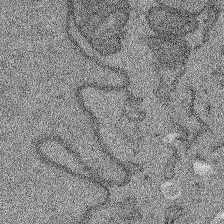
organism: Human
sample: HeLa cells